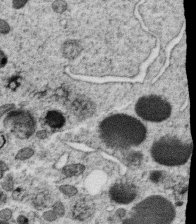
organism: C. elegans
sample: C. elegans oocyte; sperm cells